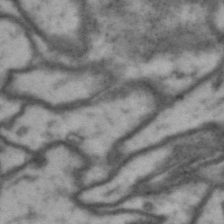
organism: Drosophila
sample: Brain